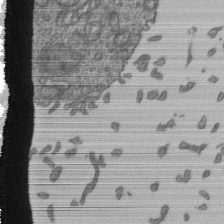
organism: Human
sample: Retinal organoid Rod and Cone cells